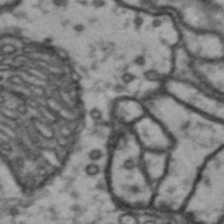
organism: Drosophila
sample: Brain